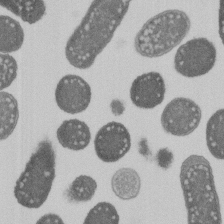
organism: E. coli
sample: Bacterial nucleoid